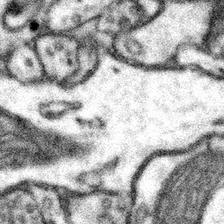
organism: Mouse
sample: Somatosensory cortex neuropil